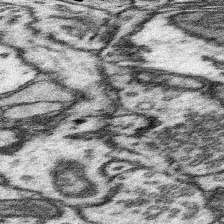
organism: Mouse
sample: Somatosensory cortex neuropil